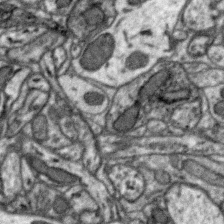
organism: Zebra finch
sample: Brain